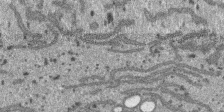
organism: Human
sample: Lung epithelial cells infected with SARS-CoV-2